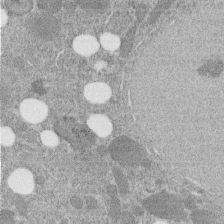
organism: C. elegans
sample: C. elegans embryo early stage